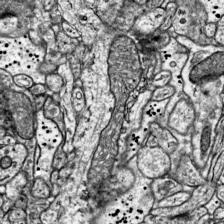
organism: Mouse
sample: Visual Cortex